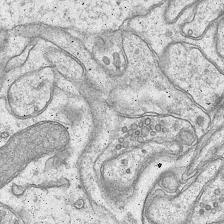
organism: Mouse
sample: CA1 Hippocampus